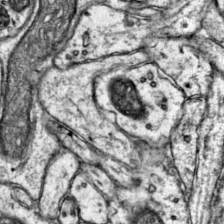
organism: Mouse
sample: Primary visual cortex